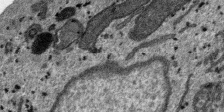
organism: Human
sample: Lung epithelial cells, uninfected (mock) control